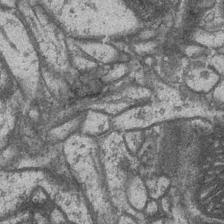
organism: Drosophila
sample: Optic medulla